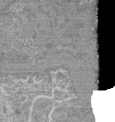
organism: Mouse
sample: Glomerulus